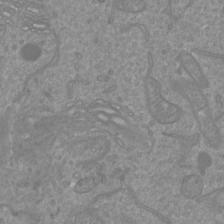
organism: Mouse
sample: Cortical neurons